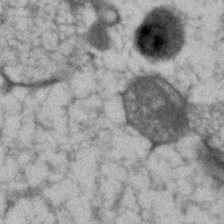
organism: Human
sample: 1205lu cells